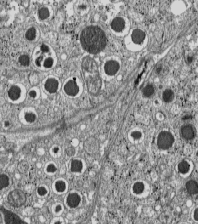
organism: C57BL Mouse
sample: Pancreatic islet